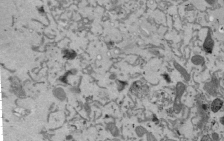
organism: Mouse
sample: ED-1 cell nuclei; centrioles